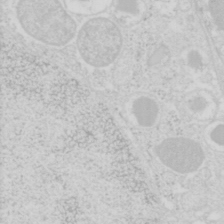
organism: Mouse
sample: Pancreas